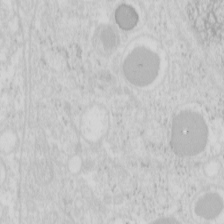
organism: Mouse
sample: Pancreas